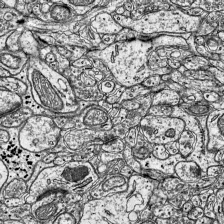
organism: Mouse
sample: Visual Cortex